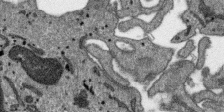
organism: Human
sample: Lung epithelial cells, uninfected (mock) control